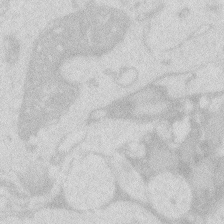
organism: Zebrafish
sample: Macrophage